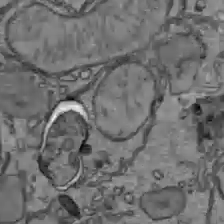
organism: C57BL Mouse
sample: Liver